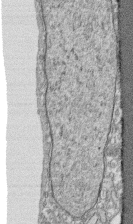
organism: Human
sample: CRL-1474